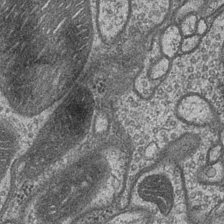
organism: Drosophila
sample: Optic medulla